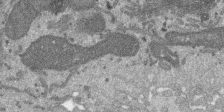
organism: Human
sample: Lung epithelial cells infected with SARS-CoV-2